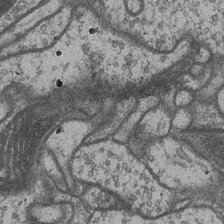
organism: Drosophila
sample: Optic medulla